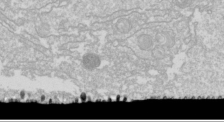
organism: Drosophila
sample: Cell division; meiosis; drosophila spermatocytes